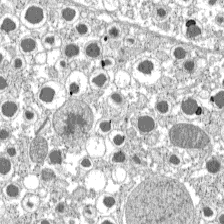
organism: C57BL Mouse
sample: Pancreatic islet